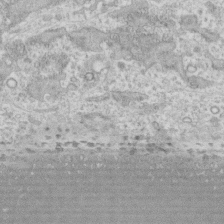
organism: Human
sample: CRL-1474